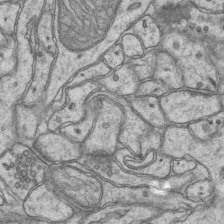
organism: Mouse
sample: CA1 Hippocampus